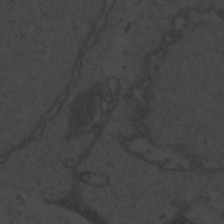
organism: Zebrafish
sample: Macrophage infected with Toxoplasma gondii